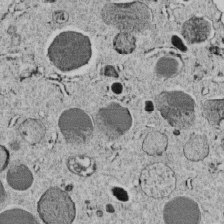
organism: C. elegans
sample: C. elegans embryo early stage